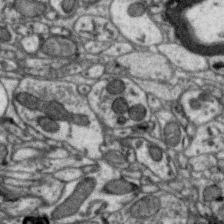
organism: Zebra finch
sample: Brain